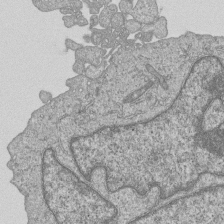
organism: Human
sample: MDA-MB-231 cells